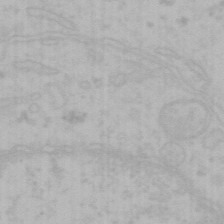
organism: Mouse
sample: Choroid plexus